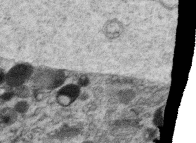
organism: C. elegans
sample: C. elegans oocyte; sperm cells